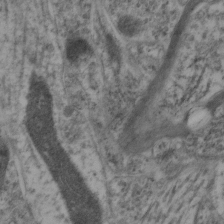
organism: Mouse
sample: Neocortex